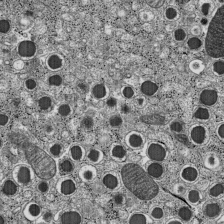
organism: C57BL Mouse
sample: Pancreatic islet